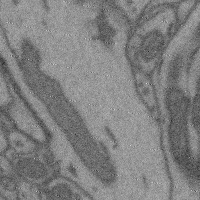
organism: Mouse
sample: Cerebral cortex